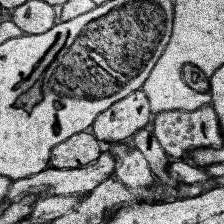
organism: Human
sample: Temporal Lobe